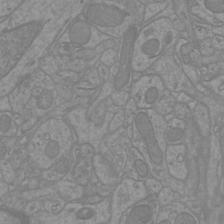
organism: Mouse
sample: Cortical neurons